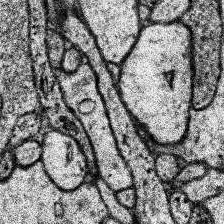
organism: Human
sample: Temporal Lobe